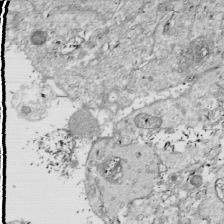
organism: Drosophila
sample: Cell division; meiosis; drosophila spermatocytes